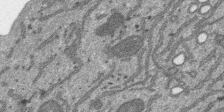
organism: Human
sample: Lung epithelial cells infected with SARS-CoV-2